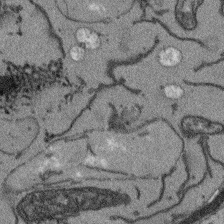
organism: Arabidopsis thaliana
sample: Root tip